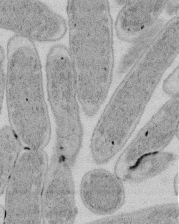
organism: E. coli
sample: Bacterial nucleoid